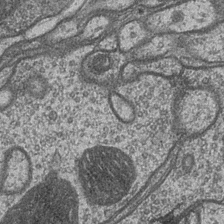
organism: Drosophila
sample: Optic medulla